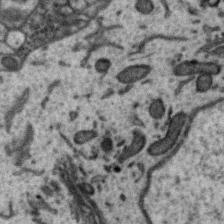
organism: Zebra finch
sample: Brain